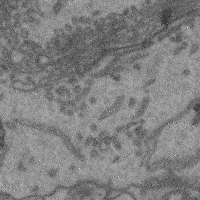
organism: Mouse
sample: Cerebral cortex